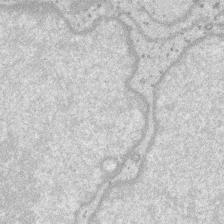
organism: Human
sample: Lung epithelial cells infected with SARS-CoV-2